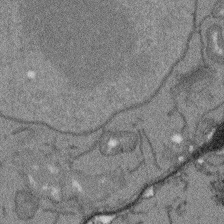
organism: Arabidopsis thaliana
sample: Root tip